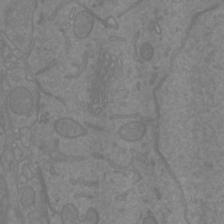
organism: Mouse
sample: Cortical neurons